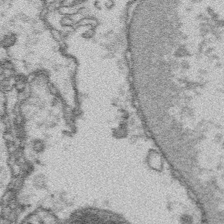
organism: Platynereis dumerilii